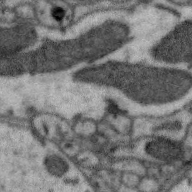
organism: Zebra finch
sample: Brain